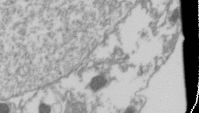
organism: Drosophila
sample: Cell division; meiosis; drosophila spermatocytes